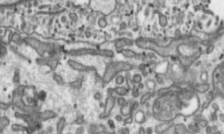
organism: Toxoplasma gondii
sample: Parasites in a vacuole inside a host cell